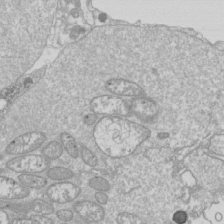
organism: Drosophila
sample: Cell division; meiosis; drosophila spermatocytes